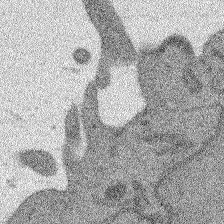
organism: Human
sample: HeLa cells